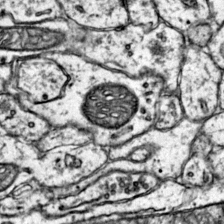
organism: Mouse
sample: Primary visual cortex